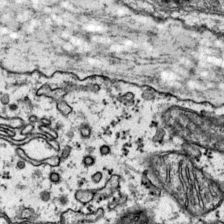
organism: Mouse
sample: Primary visual cortex